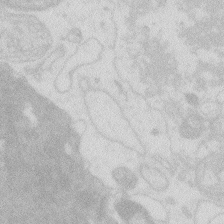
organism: Zebrafish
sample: Macrophage